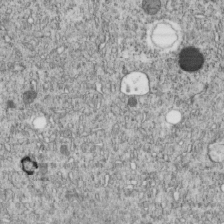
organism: C. elegans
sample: C. elegans embryo early stage